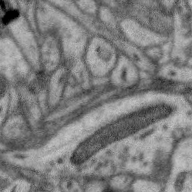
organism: Zebra finch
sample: Brain